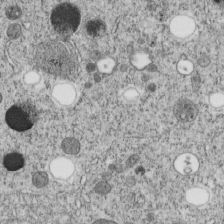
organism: C. elegans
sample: C. elegans embryo early stage